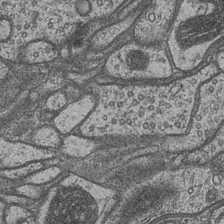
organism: Drosophila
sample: Optic medulla